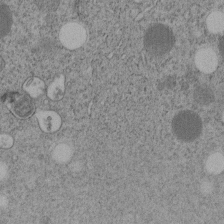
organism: C. elegans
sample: C. elegans embryo early stage